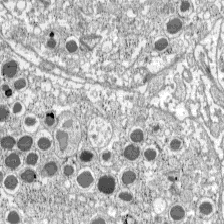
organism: C57BL Mouse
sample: Pancreatic islet